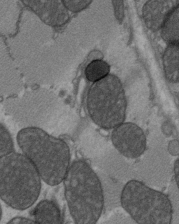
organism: C57BL Mouse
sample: Heart